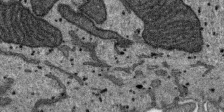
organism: Human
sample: Lung epithelial cells, uninfected (mock) control